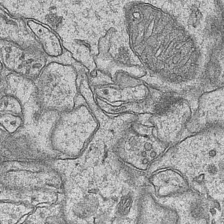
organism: Mouse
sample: CA1 Hippocampus